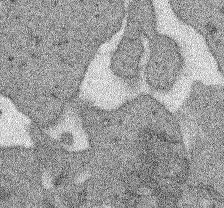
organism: Human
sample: HeLa cells